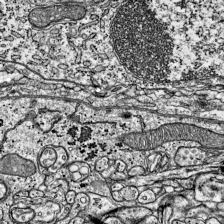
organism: Mouse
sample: Visual Cortex